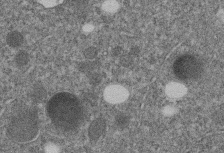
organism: C. elegans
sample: C. elegans embryo early stage